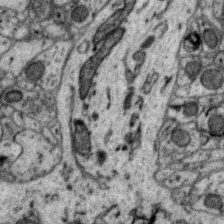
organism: Zebra finch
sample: Brain